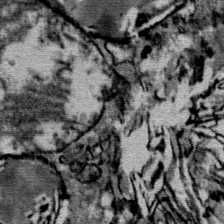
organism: Mouse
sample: Mouse Salivary gland